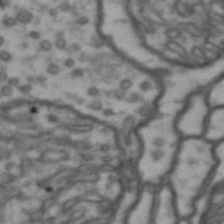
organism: Drosophila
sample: Brain